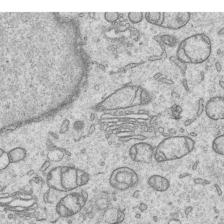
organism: Human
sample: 1205lu cells